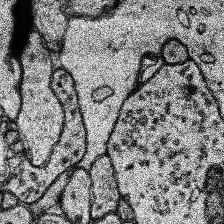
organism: Human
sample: Temporal Lobe